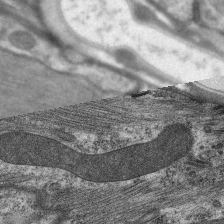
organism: C. elegans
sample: Pharynx